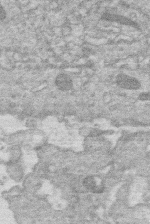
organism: Human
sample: Macrophage cells